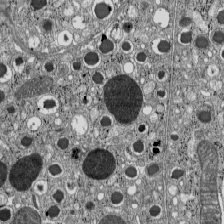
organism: C57BL Mouse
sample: Pancreatic islet